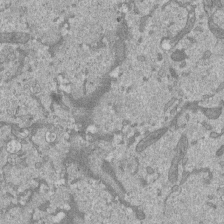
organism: Mouse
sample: ED-1 cell nuclei; centrioles